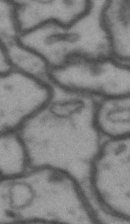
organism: Drosophila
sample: Brain